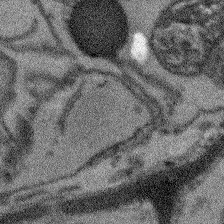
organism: Arabidopsis thaliana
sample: Root tip